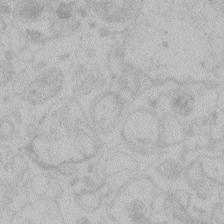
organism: Zebrafish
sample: Macrophage infected with Toxoplasma gondii